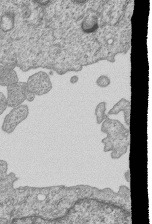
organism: Human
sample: MDA-MB-231 cells